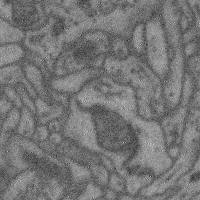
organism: Mouse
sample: Cerebral cortex